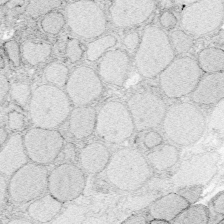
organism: Zebrafish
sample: Whole-Brain